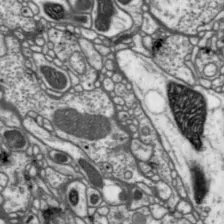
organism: Drosophila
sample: Protocerebral bridge